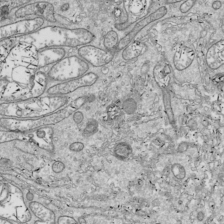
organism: Drosophila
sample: Cell division; meiosis; drosophila spermatocytes